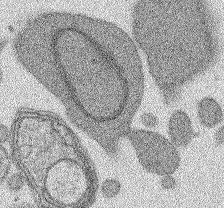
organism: Human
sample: HeLa cells